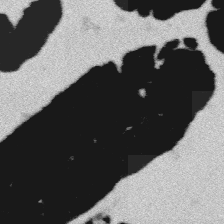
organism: Platynereis dumerilii